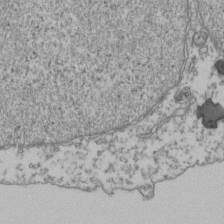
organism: Human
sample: Activated Jurkat CD4+ T cells